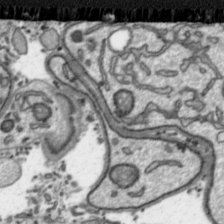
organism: Toxoplasma gondii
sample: Parasites in a vacuole inside a host cell